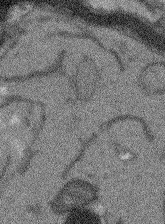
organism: Arabidopsis thaliana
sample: Root tip